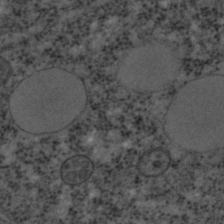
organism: C. elegans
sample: C. elegans embryo